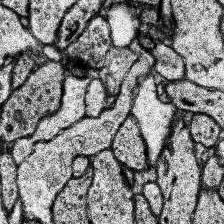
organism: Human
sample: Temporal Lobe